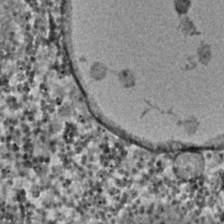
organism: C. elegans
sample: C. elegans embryo